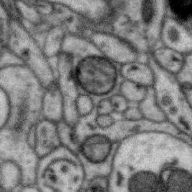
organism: Zebra finch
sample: Brain